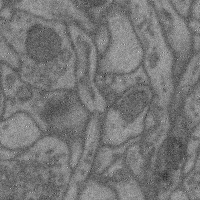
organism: Mouse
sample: Cerebral cortex